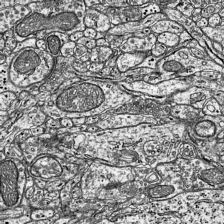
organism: Mouse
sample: Visual Cortex